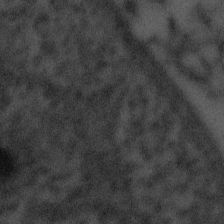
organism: Tuwongella immobilis